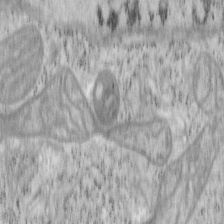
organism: Human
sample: HeLa cells